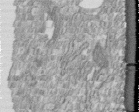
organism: Human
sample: Centriole in fibroblast cells